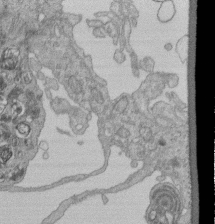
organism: Human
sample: Retinal organoid Rod and Cone cells